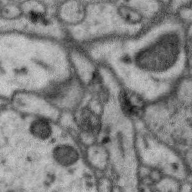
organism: Zebra finch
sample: Brain